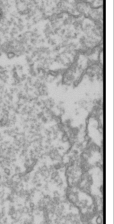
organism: Drosophila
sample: Cell division; meiosis; drosophila spermatocytes